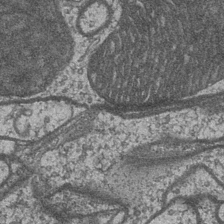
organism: Drosophila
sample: Optic medulla